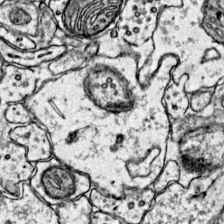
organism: Mouse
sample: Primary visual cortex